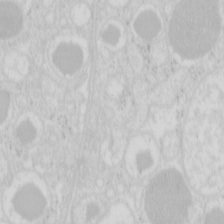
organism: Mouse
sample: Pancreas